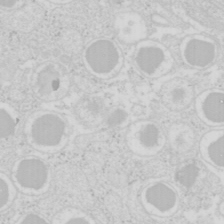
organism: Mouse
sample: Pancreas